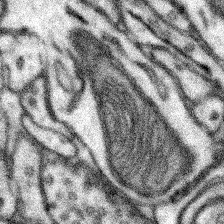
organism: Mouse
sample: Somatosensory cortex neuropil